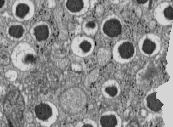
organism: C57BL Mouse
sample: Pancreatic islet